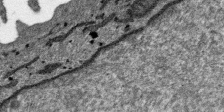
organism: Human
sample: Lung epithelial cells, uninfected (mock) control